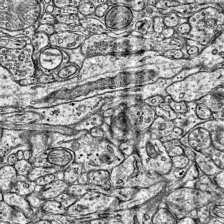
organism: Mouse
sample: Visual Cortex